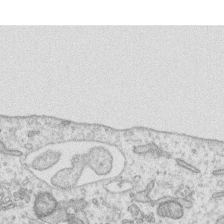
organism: Human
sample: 1205lu cells